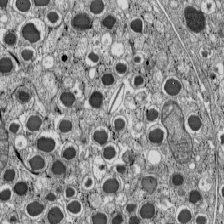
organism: C57BL Mouse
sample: Pancreatic islet